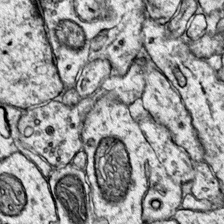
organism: Mouse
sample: Primary visual cortex